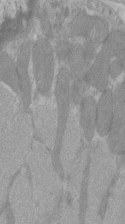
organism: C57BL Mouse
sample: Tibialis anterior muscle cell